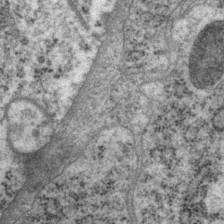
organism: P. pacificus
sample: Pharynx